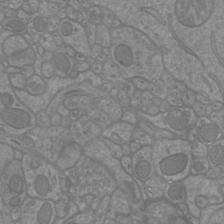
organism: Mouse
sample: Cortical neurons